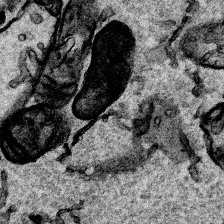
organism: Human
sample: Mitochondria in HCT116 cells